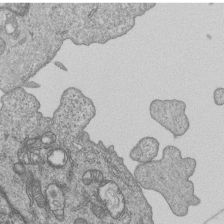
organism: Human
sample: MDA-MB-231 cells